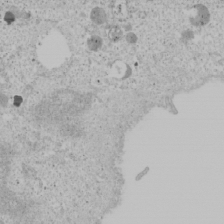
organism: Human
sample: Mitochondria in U2OS cells